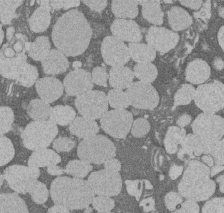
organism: Rat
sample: Salivary granule